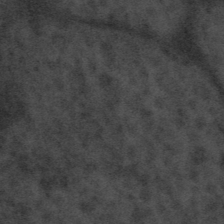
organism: Tuwongella immobilis